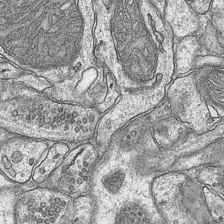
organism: Mouse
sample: CA1 Hippocampus